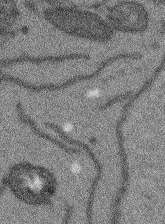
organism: Arabidopsis thaliana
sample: Root tip